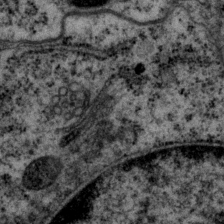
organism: P. pacificus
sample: Pharynx